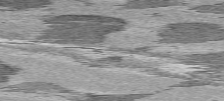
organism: C57BL Mouse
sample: Heart